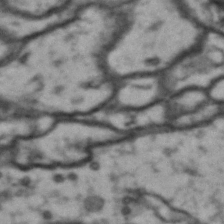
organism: Drosophila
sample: Brain